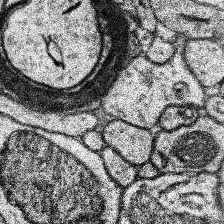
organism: Human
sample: Temporal Lobe